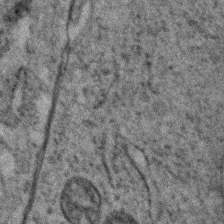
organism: Zebrafish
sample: Zebrafish embryo